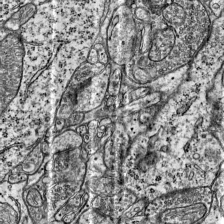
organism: Mouse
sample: Visual Cortex